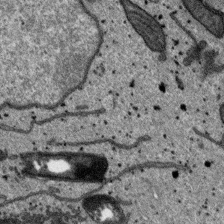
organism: Human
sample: Lung epithelial cells, uninfected (mock) control